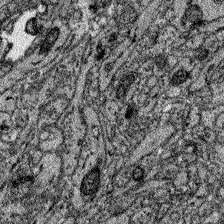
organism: Zebrafish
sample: Larval olfactory bulb